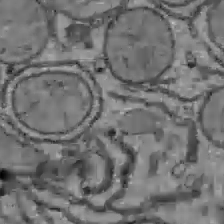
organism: C57BL Mouse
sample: Liver